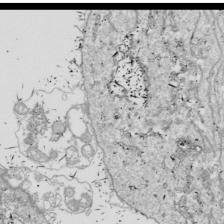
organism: Drosophila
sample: Cell division; meiosis; drosophila spermatocytes